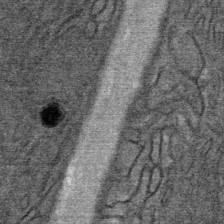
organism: Mouse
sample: Mouse Salivary gland